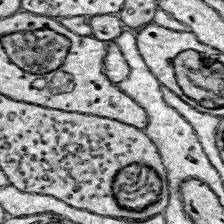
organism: Zebrafish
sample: Brain